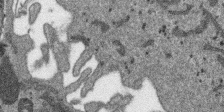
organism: Human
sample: Lung epithelial cells infected with SARS-CoV-2